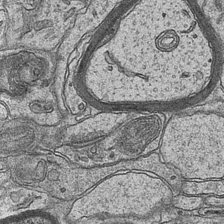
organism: Mouse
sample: CA1 Hippocampus